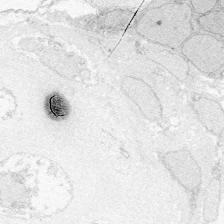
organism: Zebrafish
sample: Whole-Brain